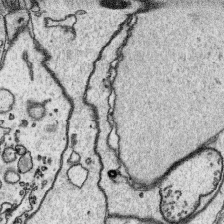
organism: Platynereis dumerilii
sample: Parapodia